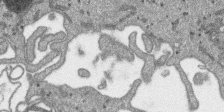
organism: Human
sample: Lung epithelial cells infected with SARS-CoV-2